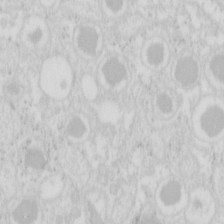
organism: Mouse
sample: Pancreas